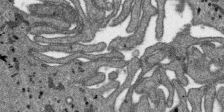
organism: Human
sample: Lung epithelial cells, uninfected (mock) control